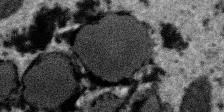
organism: Human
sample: Lung epithelial cells infected with SARS-CoV-2